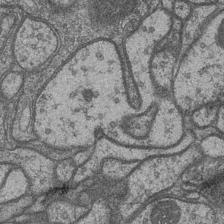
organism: Drosophila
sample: Optic medulla